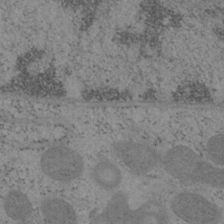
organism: Mouse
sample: OT-I killer T cells with ID8 ovarian cancer cells